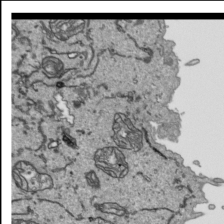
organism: Human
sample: Mitochondria in HCT116 cells